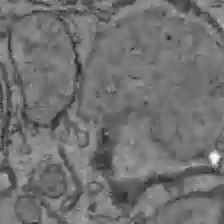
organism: C57BL Mouse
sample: Liver